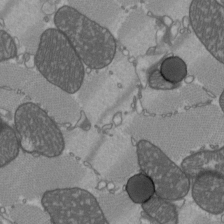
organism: C57BL Mouse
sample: Heart